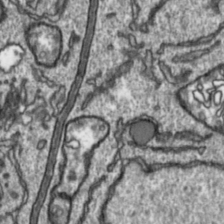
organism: Toxoplasma gondii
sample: Parasites in a vacuole inside a host cell